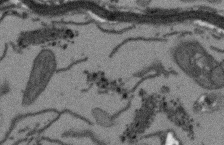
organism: Arabidopsis thaliana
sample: Root tip